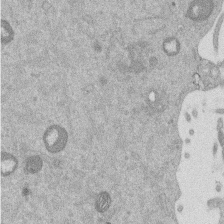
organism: Mouse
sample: Dividing mouse embryo 1 cell stage